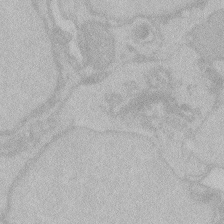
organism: Zebrafish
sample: Macrophage infected with Toxoplasma gondii